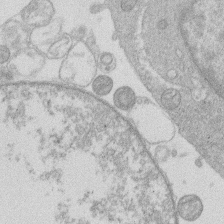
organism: Human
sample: Macrophage cells